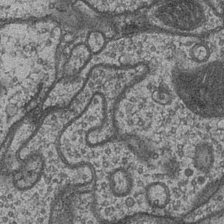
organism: Drosophila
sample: Optic medulla